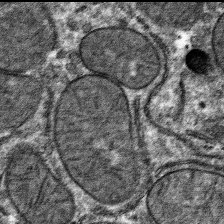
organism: Mouse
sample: Mouse hepatocytes